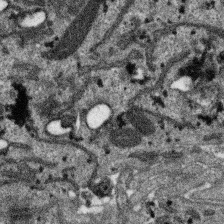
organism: Human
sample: Lung epithelial cells infected with SARS-CoV-2